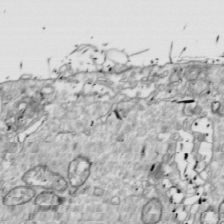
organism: Drosophila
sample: Cell division; meiosis; drosophila spermatocytes